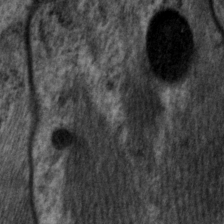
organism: P. pacificus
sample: Pharynx